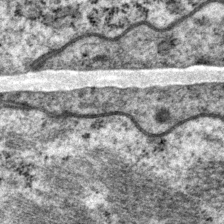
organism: P. pacificus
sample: Pharynx